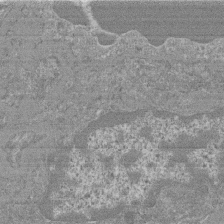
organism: Mouse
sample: Glomerulus